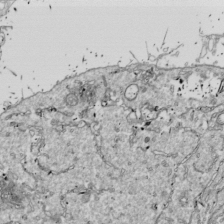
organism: Drosophila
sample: Cell division; meiosis; drosophila spermatocytes